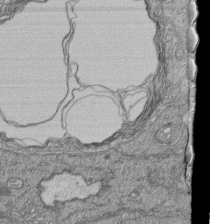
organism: Human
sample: Retinal organoid Rod and Cone cells